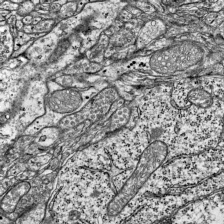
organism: Mouse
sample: Visual Cortex